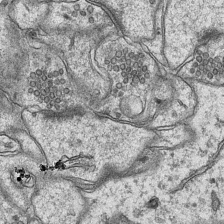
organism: Mouse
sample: CA1 Hippocampus